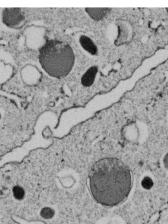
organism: C. elegans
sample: C. elegans embryo early stage